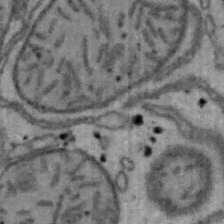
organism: Mouse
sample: Liver